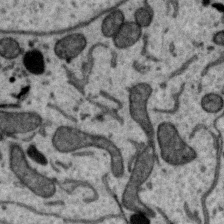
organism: Zebra finch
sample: Brain